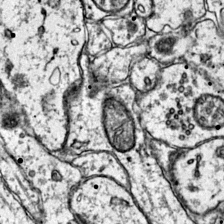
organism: Mouse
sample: Primary visual cortex